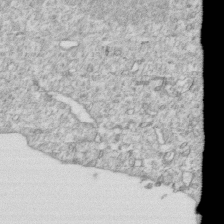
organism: Mouse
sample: Activated OT-1 CD8+ T cells